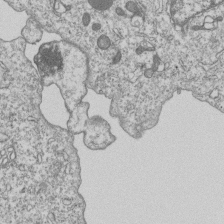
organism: Human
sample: MDA-MB-231 cells